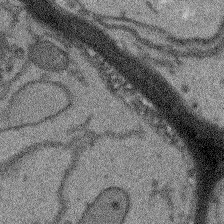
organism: Arabidopsis thaliana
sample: Root tip